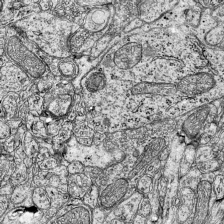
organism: Mouse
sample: Visual Cortex